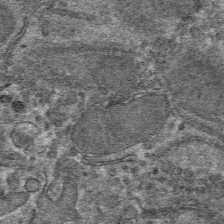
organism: Mouse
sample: Mouse hepatocytes